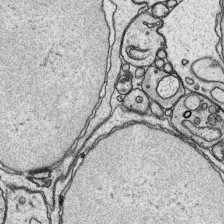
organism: Platynereis dumerilii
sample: Parapodia